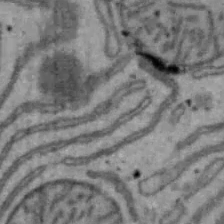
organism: Mouse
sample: Liver